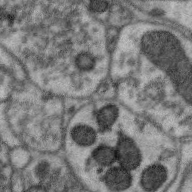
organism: Zebra finch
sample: Brain